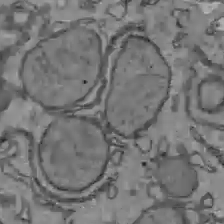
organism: C57BL Mouse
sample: Liver